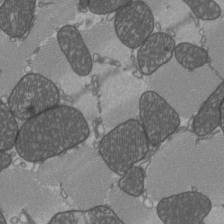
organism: C57BL Mouse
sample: Heart